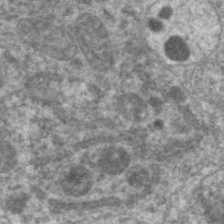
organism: C. elegans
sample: Pharynx